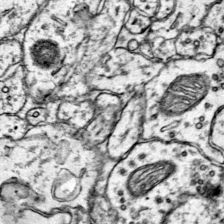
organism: Mouse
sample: Primary visual cortex